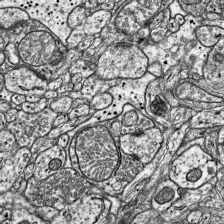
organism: Mouse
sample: Visual Cortex